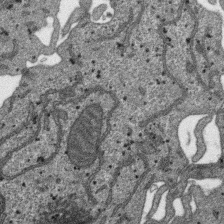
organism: Human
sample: Lung epithelial cells infected with SARS-CoV-2